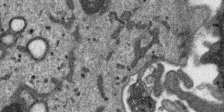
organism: Human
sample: Lung epithelial cells infected with SARS-CoV-2